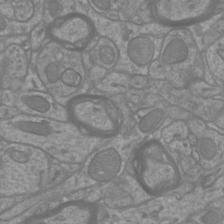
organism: Mouse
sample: Cortical neurons